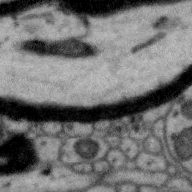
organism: Zebra finch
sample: Brain